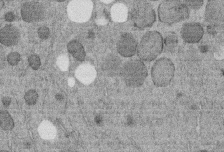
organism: C. elegans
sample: C. elegans embryo early stage